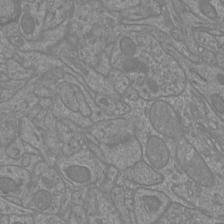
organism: Mouse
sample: Cortical neurons